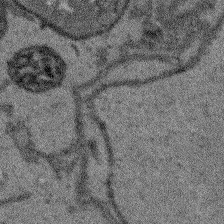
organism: Arabidopsis thaliana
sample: Root tip